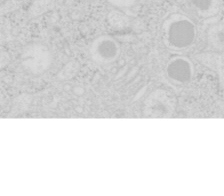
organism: Mouse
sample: Pancreas